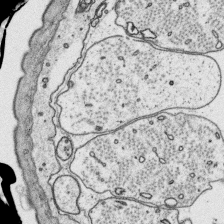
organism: Platynereis dumerilii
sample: Parapodia